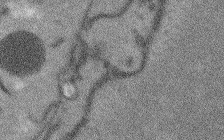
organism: Arabidopsis thaliana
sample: Root tip